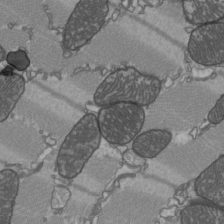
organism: C57BL Mouse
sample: Heart